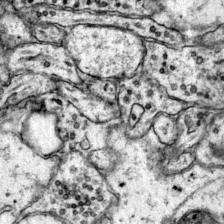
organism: Mouse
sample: Primary visual cortex